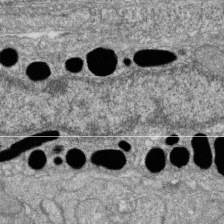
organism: Zebrafish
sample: Cilia; retinal pigment epithelium